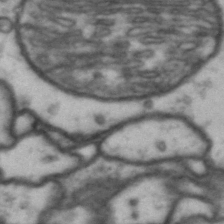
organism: Drosophila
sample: Brain